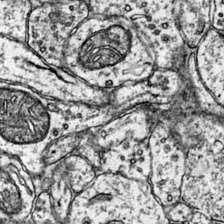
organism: Mouse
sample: Primary visual cortex